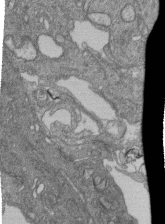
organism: Human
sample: Retinal organoid Rod and Cone cells